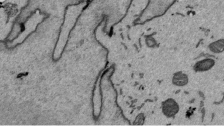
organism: Mouse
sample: ED-1 cell nuclei; centrioles